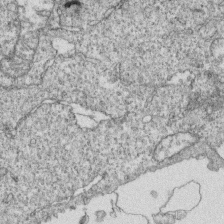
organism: Human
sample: HeLa cell HIV synapse